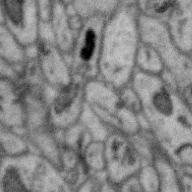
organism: Zebra finch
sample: Brain